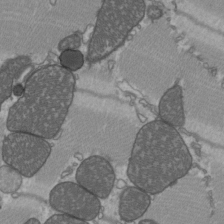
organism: C57BL Mouse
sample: Heart